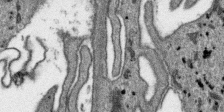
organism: Human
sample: Lung epithelial cells, uninfected (mock) control